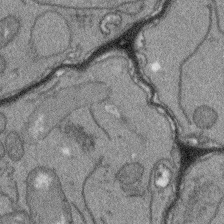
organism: Arabidopsis thaliana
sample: Root tip